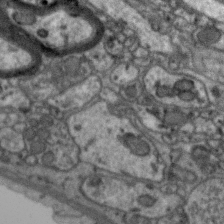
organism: Zebra finch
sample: Brain